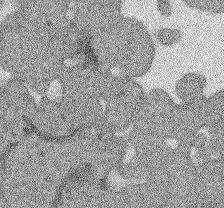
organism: Human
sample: HeLa cells